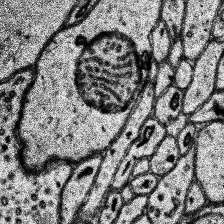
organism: Human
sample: Temporal Lobe